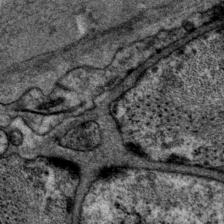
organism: P. pacificus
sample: Pharynx